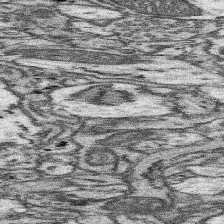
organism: Mouse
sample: Somatosensory cortex neuropil